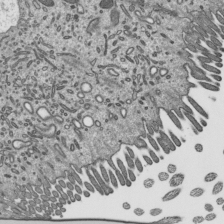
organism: Mouse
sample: Mouse epididymis efferent ductule cilia